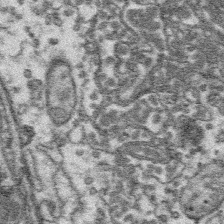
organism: Platynereis dumerilii